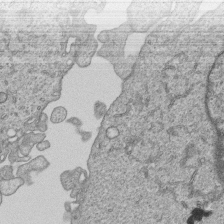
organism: Human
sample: MDA-MB-231 cells